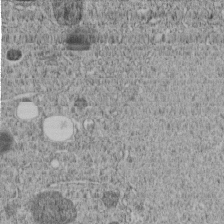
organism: C. elegans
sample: C. elegans embryo early stage